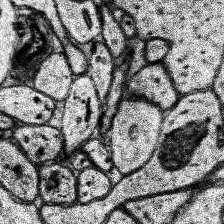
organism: Human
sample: Temporal Lobe